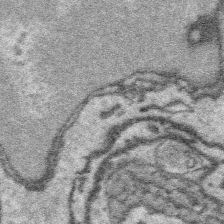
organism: Platynereis dumerilii